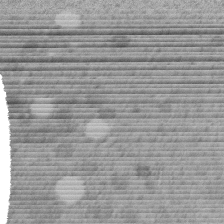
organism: C. elegans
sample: C. elegans embryo early stage